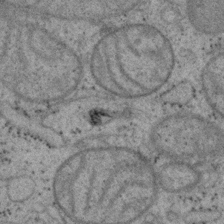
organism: Human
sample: HeLa cells